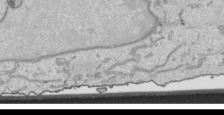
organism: Human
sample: Mitochondria in HCT116 cells